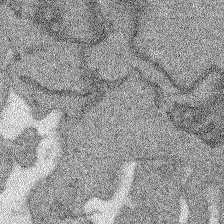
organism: Human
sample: HeLa cells